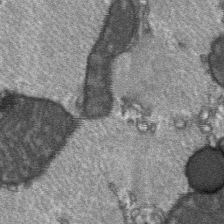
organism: C57BL Mouse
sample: Soleus